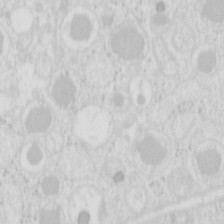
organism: Mouse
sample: Pancreas